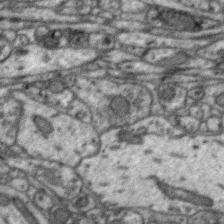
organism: Zebra finch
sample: Brain